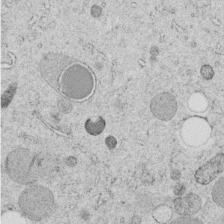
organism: C. elegans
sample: C. elegans embryo early stage